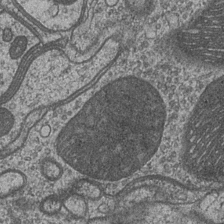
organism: Drosophila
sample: Optic medulla